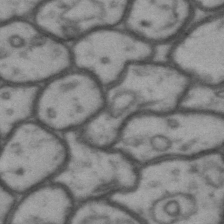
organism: Drosophila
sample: Brain